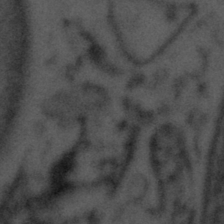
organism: Tuwongella immobilis